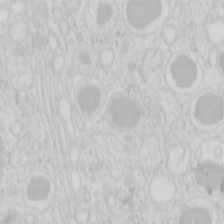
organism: Mouse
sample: Pancreas